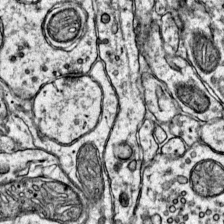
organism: Mouse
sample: Primary visual cortex